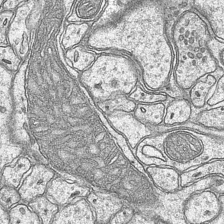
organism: Mouse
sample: CA1 Hippocampus